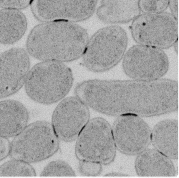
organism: E. coli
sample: Bacterial nucleoid